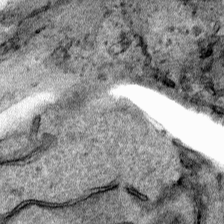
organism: Human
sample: Mitochondria in HCT116 cells